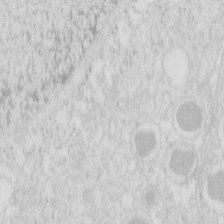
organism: Mouse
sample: Pancreas